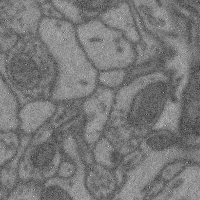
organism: Mouse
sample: Cerebral cortex